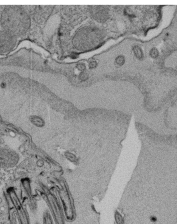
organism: Tetrahymena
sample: Cilia in tetrahymena